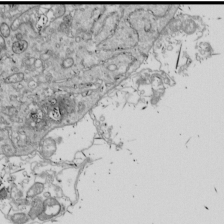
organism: Drosophila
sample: Cell division; meiosis; drosophila spermatocytes